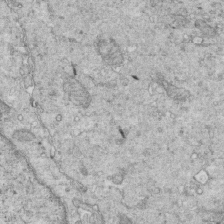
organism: Mouse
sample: Multiciliated cells